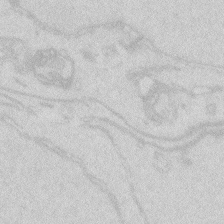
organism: Zebrafish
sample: Macrophage